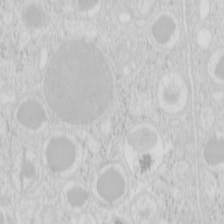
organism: Mouse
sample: Pancreas